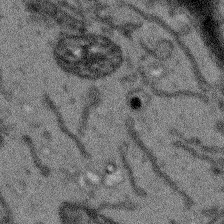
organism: Arabidopsis thaliana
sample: Root tip